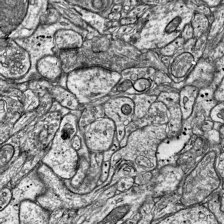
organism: Mouse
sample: Visual Cortex